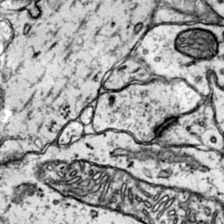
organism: Mouse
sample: Primary visual cortex